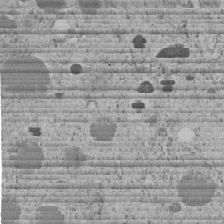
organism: C. elegans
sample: C. elegans embryo early stage